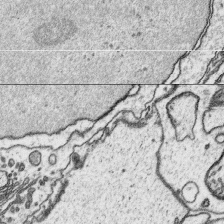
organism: Platynereis dumerilii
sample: Parapodia